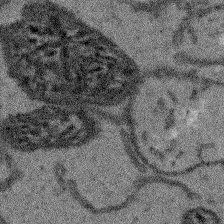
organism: Arabidopsis thaliana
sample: Root tip